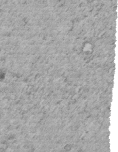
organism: C. elegans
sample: C. elegans embryo early stage